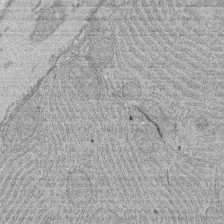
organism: Rat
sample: Salivary granule